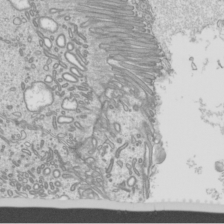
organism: Mouse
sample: Cilia; mouse epididymis